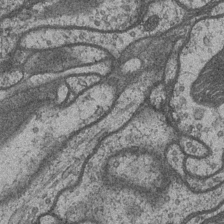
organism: Drosophila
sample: Optic medulla